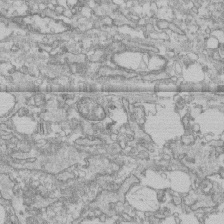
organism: Human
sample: CRL-1474